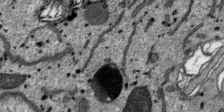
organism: Human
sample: Lung epithelial cells, uninfected (mock) control